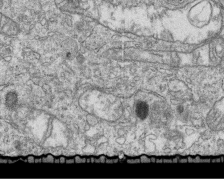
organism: Human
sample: HeLa cell HIV synapse